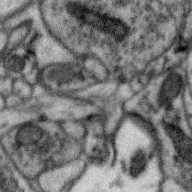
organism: Zebra finch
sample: Brain